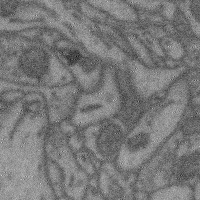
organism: Mouse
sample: Cerebral cortex